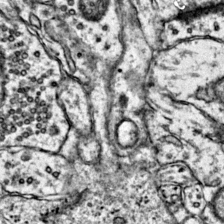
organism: Mouse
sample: Primary visual cortex